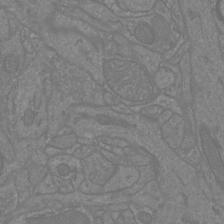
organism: Mouse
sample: Cortical neurons